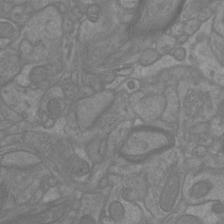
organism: Mouse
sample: Cortical neurons